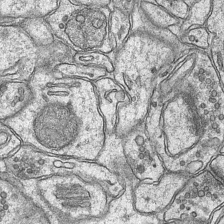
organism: Mouse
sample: CA1 Hippocampus